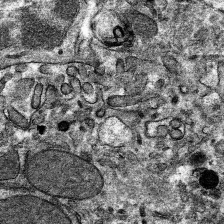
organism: Mouse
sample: Mouse hepatocytes